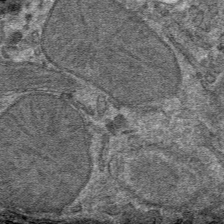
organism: Mouse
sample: Mouse hepatocytes